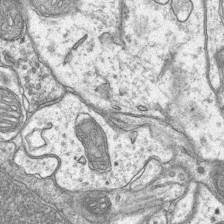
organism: Mouse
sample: CA1 Hippocampus